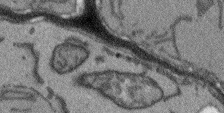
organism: Arabidopsis thaliana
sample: Root tip